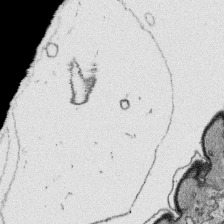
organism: Platynereis dumerilii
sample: Parapodia